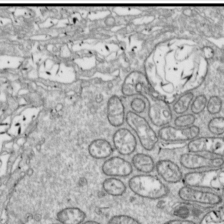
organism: Drosophila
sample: Cell division; meiosis; drosophila spermatocytes